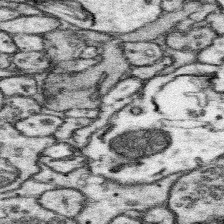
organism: Mouse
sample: Somatosensory cortex neuropil